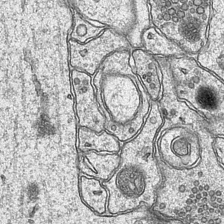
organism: Mouse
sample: CA1 Hippocampus